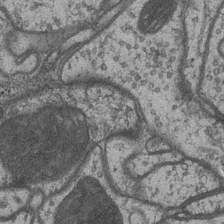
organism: Drosophila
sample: Optic medulla